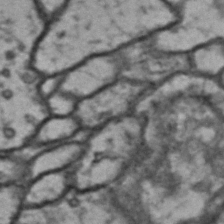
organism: Drosophila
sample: Brain